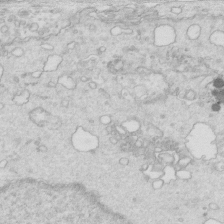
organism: Mouse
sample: Multiciliated cells